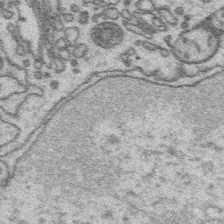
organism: Platynereis dumerilii